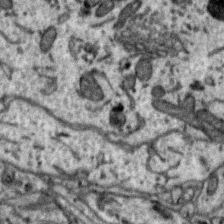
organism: Zebra finch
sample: Brain